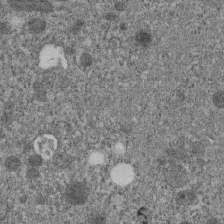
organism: C. elegans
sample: C. elegans embryo early stage